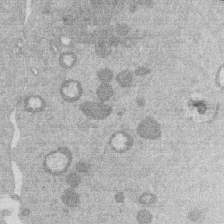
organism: Mouse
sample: Dividing mouse embryo 1 cell stage